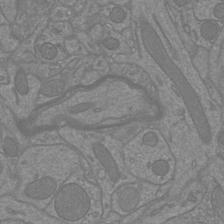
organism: Mouse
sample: Cortical neurons